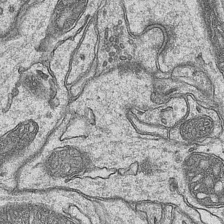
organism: Mouse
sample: CA1 Hippocampus